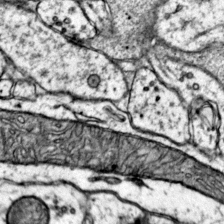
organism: Mouse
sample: Primary visual cortex